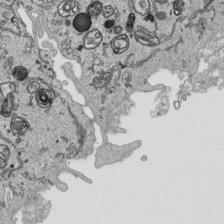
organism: Human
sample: Mitochondria in HCT116 cells